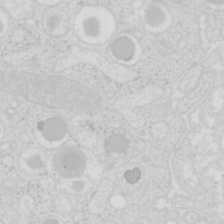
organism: Mouse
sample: Pancreas